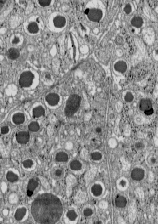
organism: C57BL Mouse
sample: Pancreatic islet